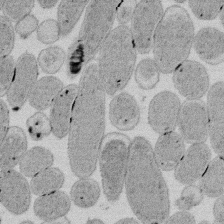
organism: E. coli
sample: Bacterial nucleoid